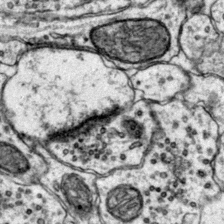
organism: Mouse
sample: Primary visual cortex